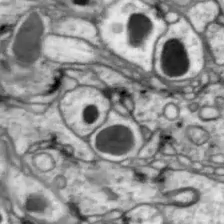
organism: Drosophila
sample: Optic lobe